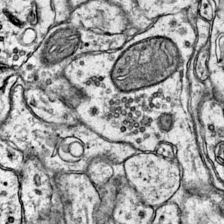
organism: Mouse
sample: Primary visual cortex